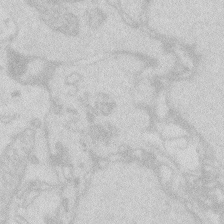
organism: Zebrafish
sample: Macrophage